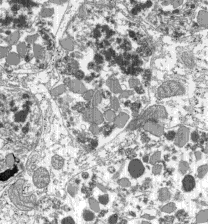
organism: C57BL Mouse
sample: Pancreatic islet